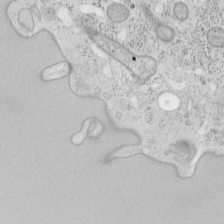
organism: Mouse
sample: OT-I killer T cells with ID8 ovarian cancer cells